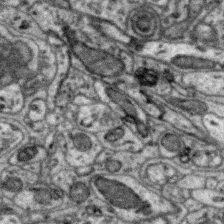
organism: Zebra finch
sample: Brain